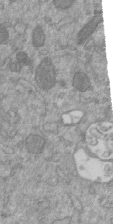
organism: Mouse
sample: ED-1 cell nuclei; centrioles